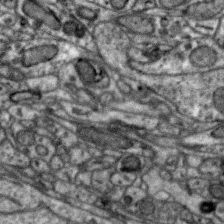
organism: Zebra finch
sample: Brain